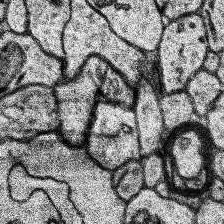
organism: Human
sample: Temporal Lobe